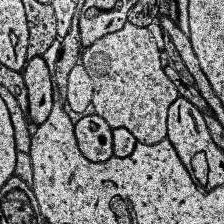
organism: Human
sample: Temporal Lobe